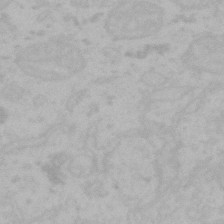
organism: Mouse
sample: Choroid plexus